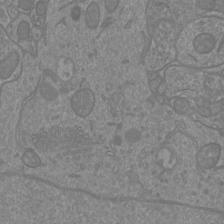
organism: Mouse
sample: Cortical neurons